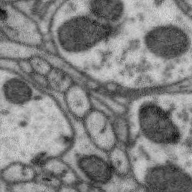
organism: Zebra finch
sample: Brain